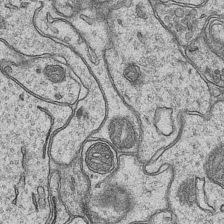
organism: Mouse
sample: CA1 Hippocampus